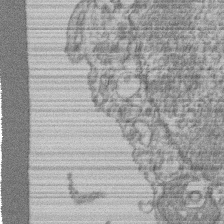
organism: Mouse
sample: T cell stromal cell synapse